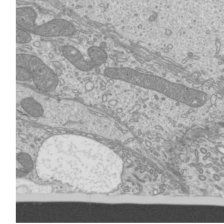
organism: Mouse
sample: Cilia; mouse epididymis